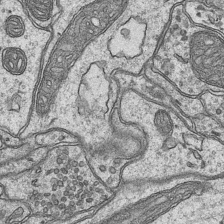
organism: Mouse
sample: CA1 Hippocampus